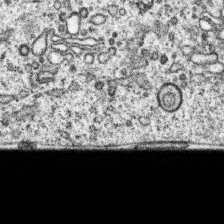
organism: Human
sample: HeLa cells